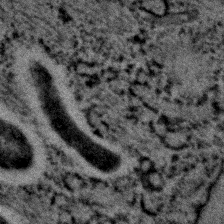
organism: C. elegans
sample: C. elegans embryo